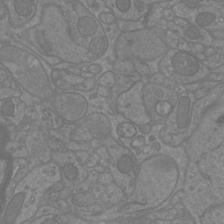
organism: Mouse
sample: Cortical neurons